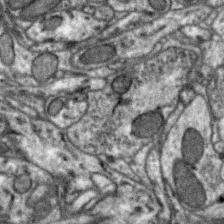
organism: Zebra finch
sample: Brain